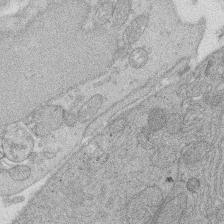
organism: Rat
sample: Salivary granule